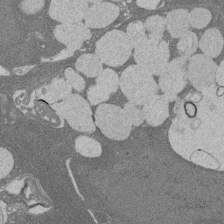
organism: Rat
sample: Salivary granule